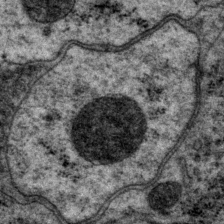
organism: P. pacificus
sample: Pharynx